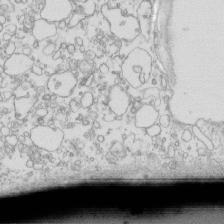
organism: Mouse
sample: Macrophages